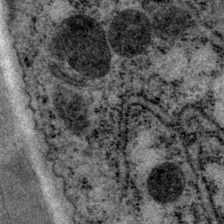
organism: P. pacificus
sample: Pharynx